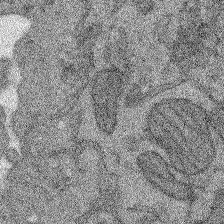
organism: Human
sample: HeLa cells